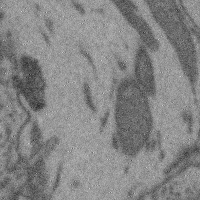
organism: Mouse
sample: Cerebral cortex